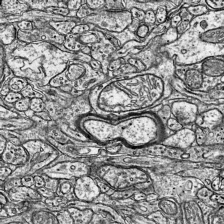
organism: Mouse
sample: Visual Cortex